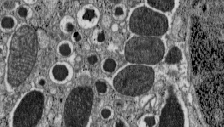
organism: C57BL Mouse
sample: Pancreatic islet